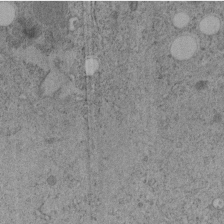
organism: C. elegans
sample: C. elegans embryo early stage